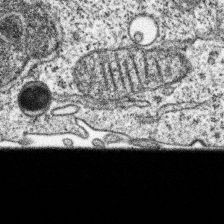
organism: Human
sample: HeLa cells